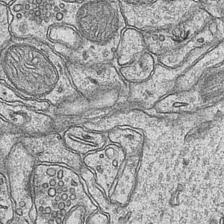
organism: Mouse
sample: CA1 Hippocampus